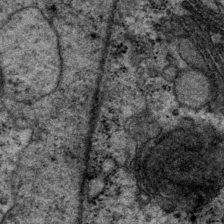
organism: P. pacificus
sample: Pharynx